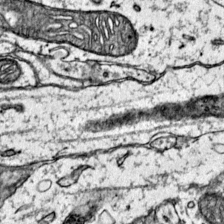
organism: Mouse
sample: Primary visual cortex